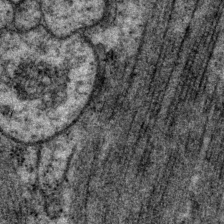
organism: P. pacificus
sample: Pharynx